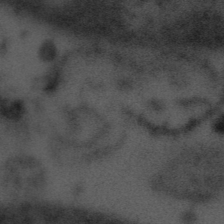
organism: Tuwongella immobilis